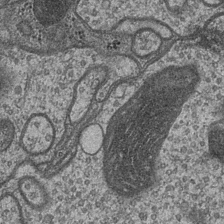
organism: Drosophila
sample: Optic medulla